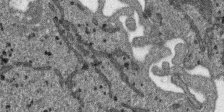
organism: Human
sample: Lung epithelial cells infected with SARS-CoV-2